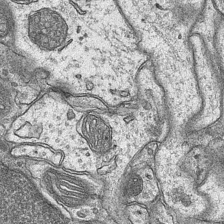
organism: Mouse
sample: CA1 Hippocampus